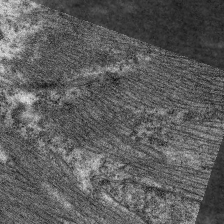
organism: C. elegans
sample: Pharynx